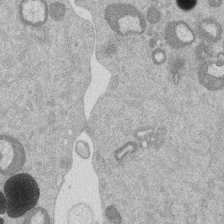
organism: Mouse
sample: Dividing mouse embryo 1 cell stage